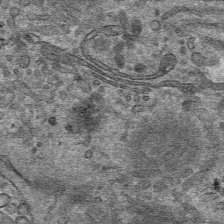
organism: Mouse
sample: Mouse hepatocytes